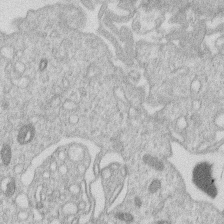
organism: Human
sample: Macrophage cells